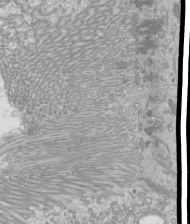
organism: Mouse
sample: Cilia; mouse epididymis